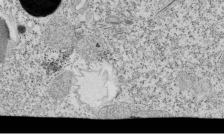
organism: Tetrahymena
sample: Cilia in tetrahymena